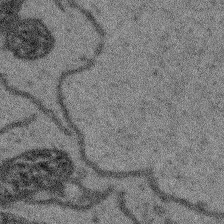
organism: Arabidopsis thaliana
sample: Root tip